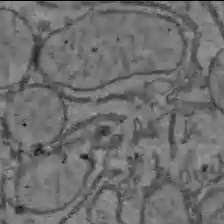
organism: C57BL Mouse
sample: Liver